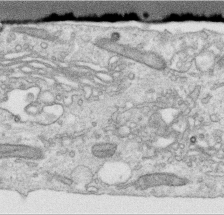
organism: Human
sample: Centriole in RPE cells